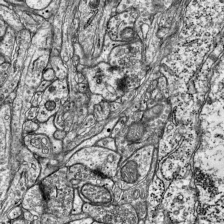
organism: Mouse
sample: Visual Cortex